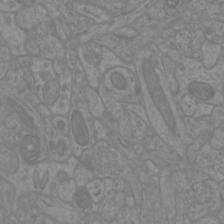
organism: Mouse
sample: Cortical neurons